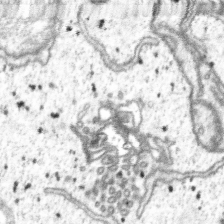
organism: Human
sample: HeLa cells